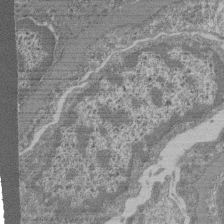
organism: Mouse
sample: Glomerulus